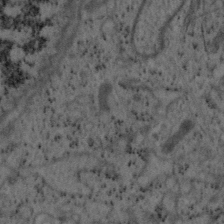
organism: Human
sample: HeLa cells